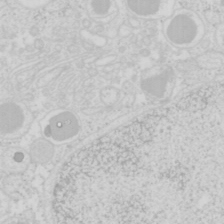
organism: Mouse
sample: Pancreas